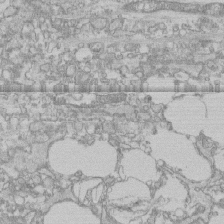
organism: Human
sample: CRL-1474